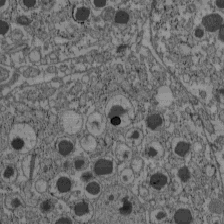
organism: C57BL Mouse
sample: Pancreatic islet